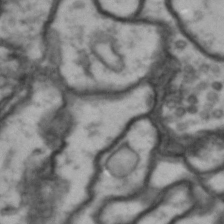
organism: Drosophila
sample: Brain